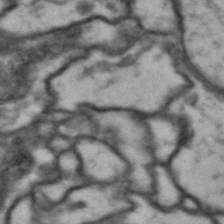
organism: Drosophila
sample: Brain